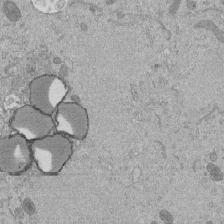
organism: Mouse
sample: ED-1 cell nuclei; centrioles